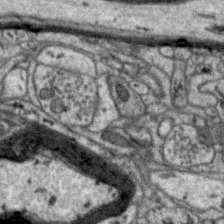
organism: Zebra finch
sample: Brain